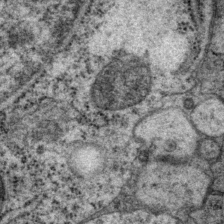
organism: P. pacificus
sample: Pharynx